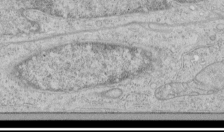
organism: Human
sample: Mitochondria in HCT116 cells